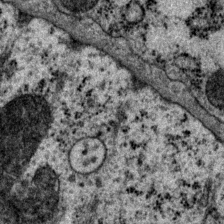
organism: P. pacificus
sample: Pharynx